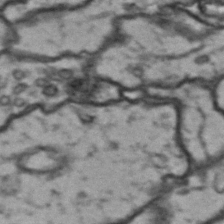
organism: Drosophila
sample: Brain